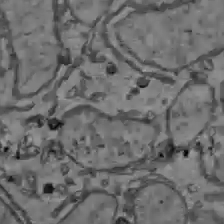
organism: C57BL Mouse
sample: Liver